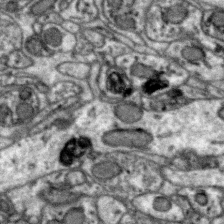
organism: Zebra finch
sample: Brain